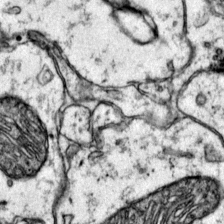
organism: Mouse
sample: Primary visual cortex